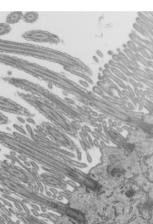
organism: Mouse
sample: Mouse epididymis efferent ductule cilia